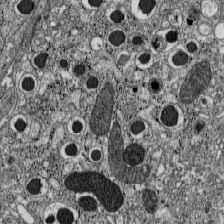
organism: C57BL Mouse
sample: Pancreatic islet